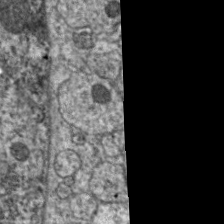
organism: C. elegans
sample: Pharynx